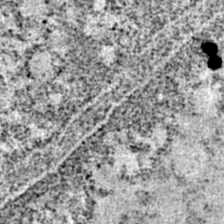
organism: Rat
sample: Cortex